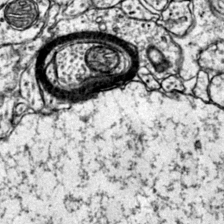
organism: Mouse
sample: Primary visual cortex